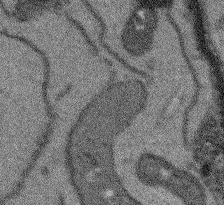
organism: Arabidopsis thaliana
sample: Root tip